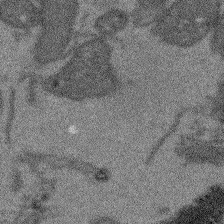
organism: Arabidopsis thaliana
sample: Root tip